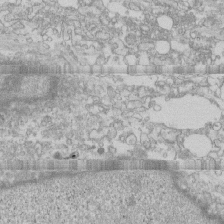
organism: Human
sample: CRL-1474